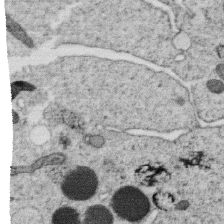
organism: C. elegans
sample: C. elegans oocyte; sperm cells